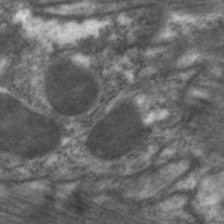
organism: C. elegans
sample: Pharynx